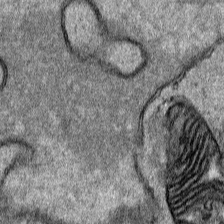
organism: Human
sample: Mitochondria in HCT116 cells